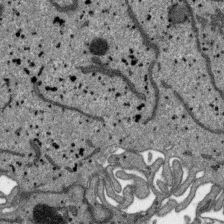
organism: Human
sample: Lung epithelial cells, uninfected (mock) control